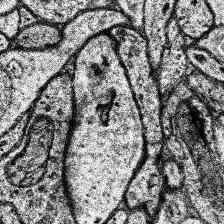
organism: Human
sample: Temporal Lobe